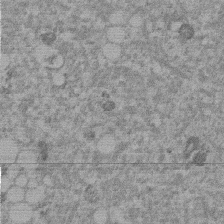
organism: Mouse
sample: Dividing mouse embryo 1 cell stage